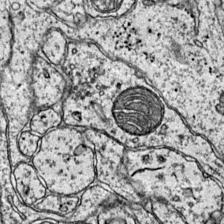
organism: Mouse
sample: Primary visual cortex